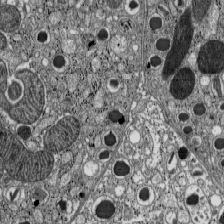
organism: C57BL Mouse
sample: Pancreatic islet